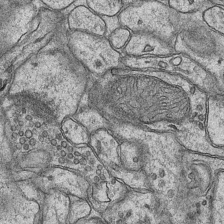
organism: Mouse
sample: CA1 Hippocampus